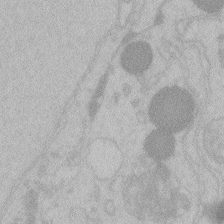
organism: Zebrafish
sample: Macrophage infected with Toxoplasma gondii